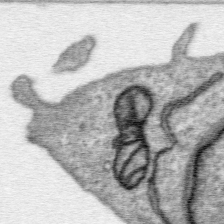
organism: Human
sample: HeLa cells